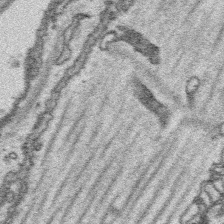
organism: Platynereis dumerilii